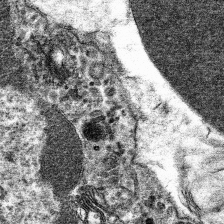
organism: Mouse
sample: Mouse hepatocytes